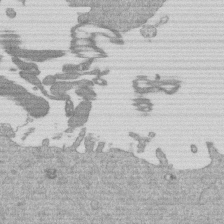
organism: Mouse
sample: Dividing mouse embryo 1 cell stage